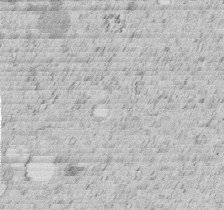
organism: C. elegans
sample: C. elegans embryo early stage